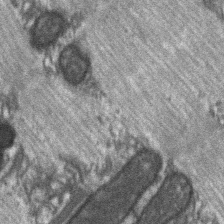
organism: C57BL Mouse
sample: Soleus